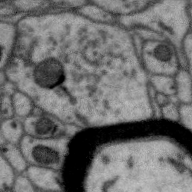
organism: Zebra finch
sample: Brain